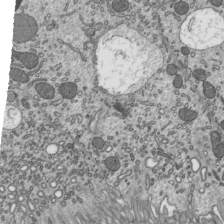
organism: Mouse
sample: Mouse epididymis efferent ductule cilia